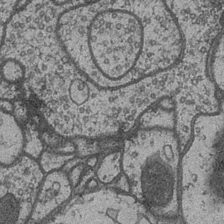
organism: Drosophila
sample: Optic medulla